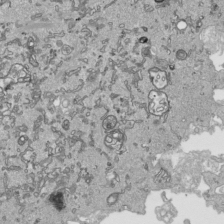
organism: Human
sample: Mitochondria in HCT116 cells